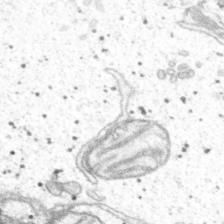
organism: Human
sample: HeLa cells